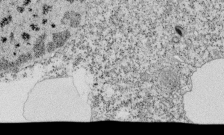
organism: Tetrahymena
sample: Cilia in tetrahymena